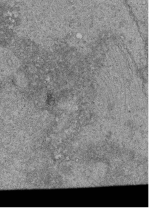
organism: Human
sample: Retinal organoid Rod and Cone cells